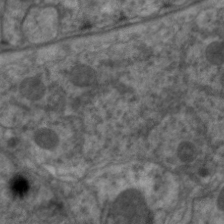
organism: C. elegans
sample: Pharynx